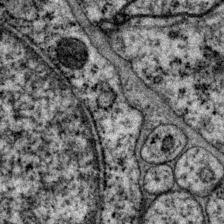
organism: P. pacificus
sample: Pharynx